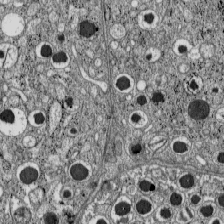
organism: C57BL Mouse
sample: Pancreatic islet